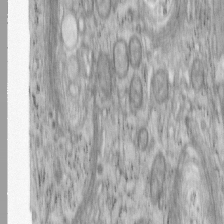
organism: Human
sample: HeLa cells